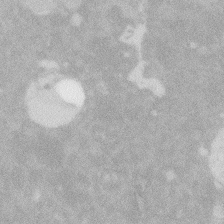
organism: Zebrafish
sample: Macrophage